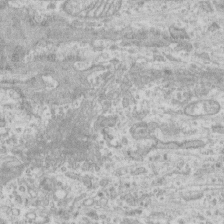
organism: Human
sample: CRL-1474